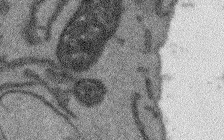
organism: Arabidopsis thaliana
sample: Root tip